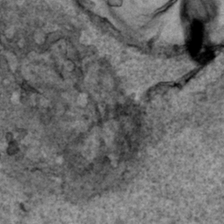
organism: Human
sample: Mitochondria in HCT116 cells